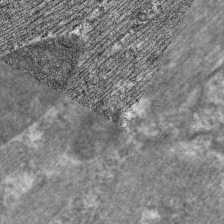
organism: C. elegans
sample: Pharynx